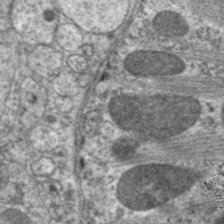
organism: C. elegans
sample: Pharynx